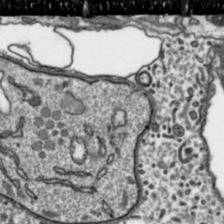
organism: Toxoplasma gondii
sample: Parasites in a vacuole inside a host cell